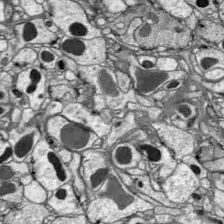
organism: Drosophila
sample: Optic lobe